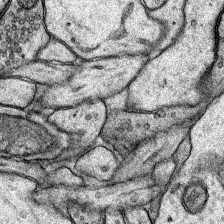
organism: Rat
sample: Hippocampus